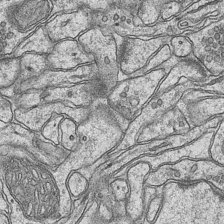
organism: Mouse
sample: CA1 Hippocampus